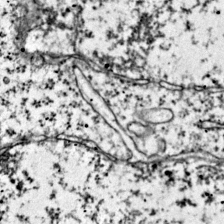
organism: Mouse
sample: Primary visual cortex